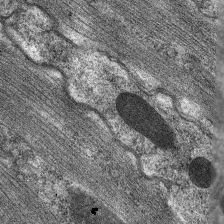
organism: C. elegans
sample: Pharynx